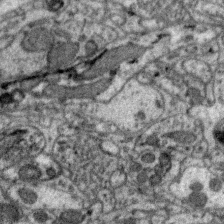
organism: Zebra finch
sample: Brain